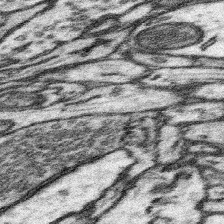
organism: Mouse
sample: Somatosensory cortex neuropil